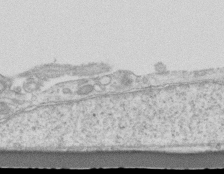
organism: Mouse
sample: Centriole in ependymal cells